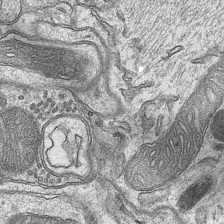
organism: Mouse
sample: CA1 Hippocampus